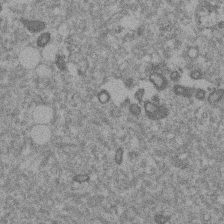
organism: Mouse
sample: Dividing mouse embryo 1 cell stage